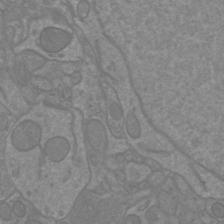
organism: Mouse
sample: Cortical neurons